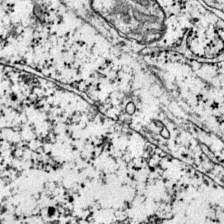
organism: Mouse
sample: Primary visual cortex